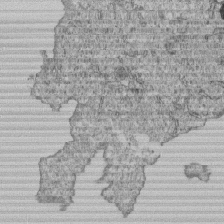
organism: Human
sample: MDA-MB-231 cells